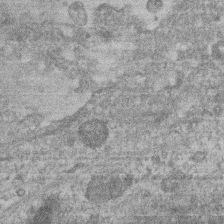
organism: Mouse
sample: T cell stromal cell synapse